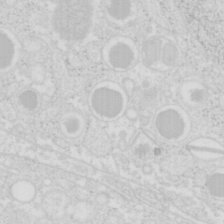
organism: Mouse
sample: Pancreas